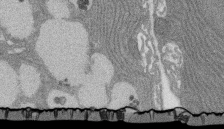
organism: Rat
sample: Salivary granule